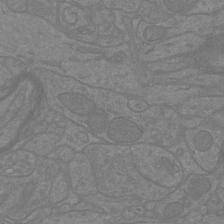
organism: Mouse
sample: Cortical neurons